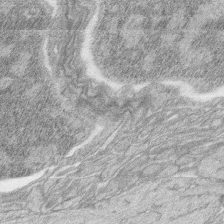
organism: Zebrafish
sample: synaptic ribbons in rod cells and cone cells